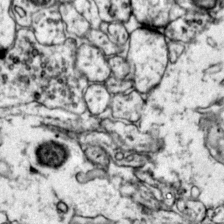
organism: Mouse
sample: Primary visual cortex